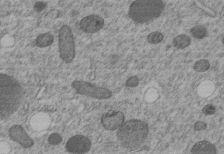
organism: C. elegans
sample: C. elegans embryo early stage